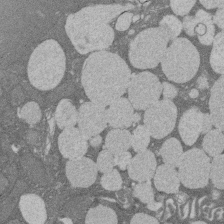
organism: Rat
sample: Salivary granule